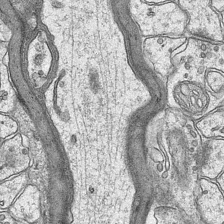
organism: Mouse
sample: CA1 Hippocampus